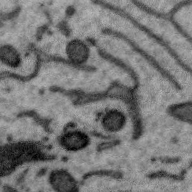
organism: Zebra finch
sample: Brain